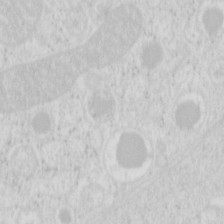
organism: Mouse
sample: Pancreas